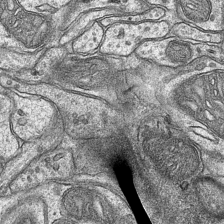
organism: Mouse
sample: CA1 Hippocampus